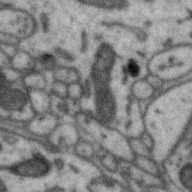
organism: Zebra finch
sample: Brain